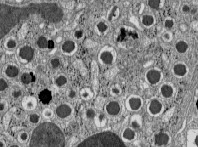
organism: C57BL Mouse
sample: Pancreatic islet